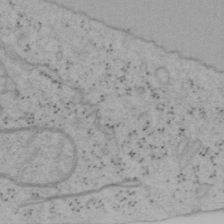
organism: Human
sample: HeLa cells